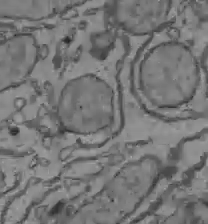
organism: C57BL Mouse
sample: Liver